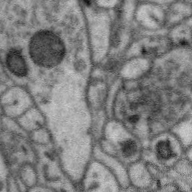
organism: Zebra finch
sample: Brain